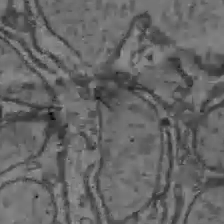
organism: C57BL Mouse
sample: Liver